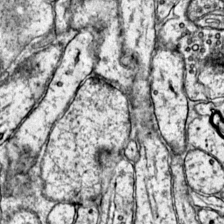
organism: Mouse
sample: Primary visual cortex